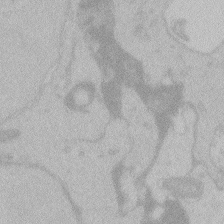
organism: Zebrafish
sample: Macrophage infected with Toxoplasma gondii